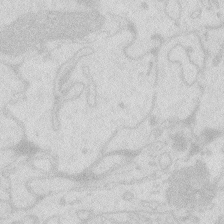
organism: Zebrafish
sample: Macrophage